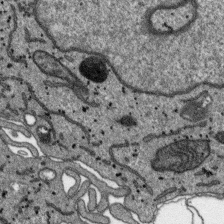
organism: Human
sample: Lung epithelial cells, uninfected (mock) control